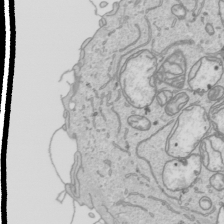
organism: Human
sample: Mitochondria in HCT116 cells